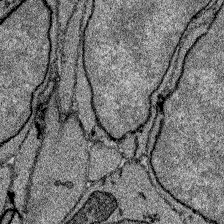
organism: Zebrafish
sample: Larval olfactory bulb